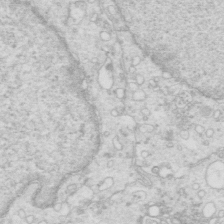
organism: Mouse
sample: Multiciliated cells